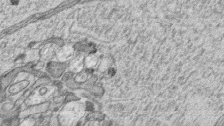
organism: Zebrafish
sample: synaptic ribbons in rod cells and cone cells